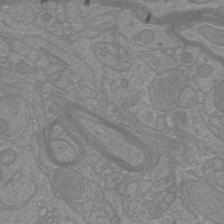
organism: Mouse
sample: Cortical neurons